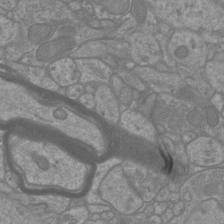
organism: Mouse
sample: Cortical neurons